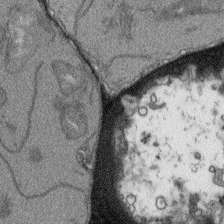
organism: Arabidopsis thaliana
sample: Root tip